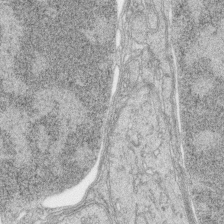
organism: Zebrafish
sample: synaptic ribbons in rod cells and cone cells